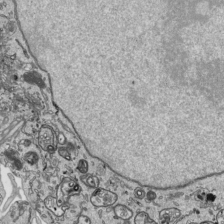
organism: Human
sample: Mitochondria in HCT116 cells